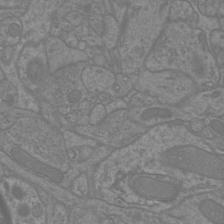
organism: Mouse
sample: Cortical neurons